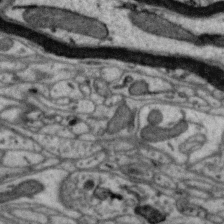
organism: Zebra finch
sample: Brain